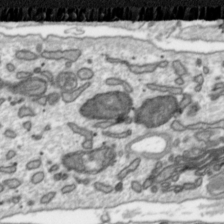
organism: Toxoplasma gondii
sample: Parasites in a vacuole inside a host cell